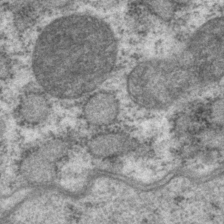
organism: P. pacificus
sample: Pharynx